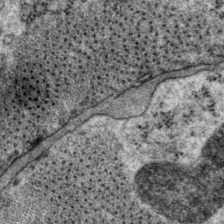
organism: P. pacificus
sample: Pharynx